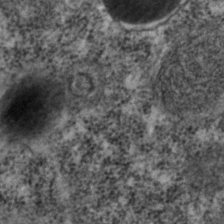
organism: C. elegans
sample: C. elegans embryo